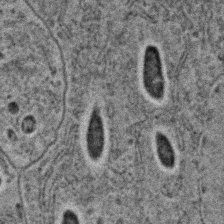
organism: C. elegans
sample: C. elegans embryo